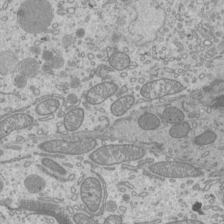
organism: Mouse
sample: Cilia; mouse epididymis